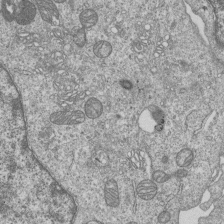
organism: Human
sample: MDA-MB-231 cells